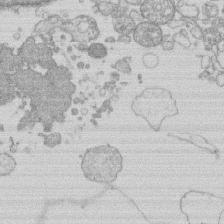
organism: Human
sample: Macrophage cells